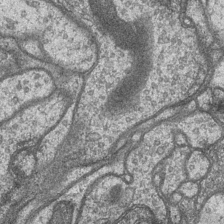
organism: Drosophila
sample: Optic medulla